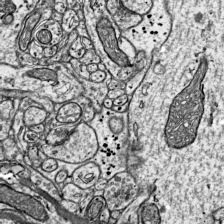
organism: Mouse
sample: Visual Cortex